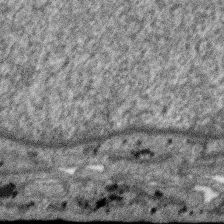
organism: Human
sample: Lung epithelial cells infected with SARS-CoV-2